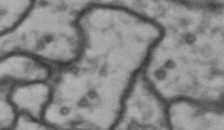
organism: Drosophila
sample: Brain